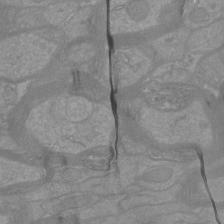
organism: Mouse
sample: Cortical neurons